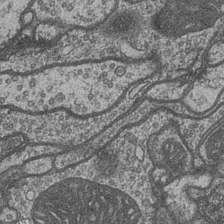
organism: Drosophila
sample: Optic medulla